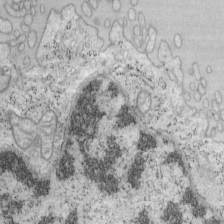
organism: Mouse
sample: OT-I killer T cells with ID8 ovarian cancer cells